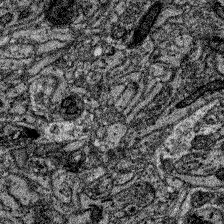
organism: Zebrafish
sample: Larval olfactory bulb